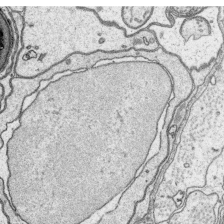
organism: Platynereis dumerilii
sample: Parapodia